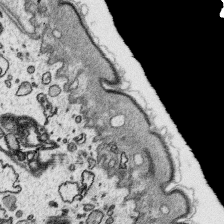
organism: Platynereis dumerilii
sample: Parapodia